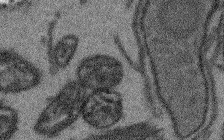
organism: Arabidopsis thaliana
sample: Root tip